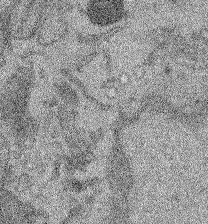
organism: Human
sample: HeLa cells